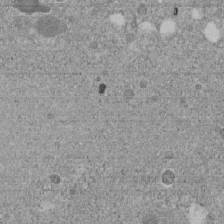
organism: C. elegans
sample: C. elegans embryo early stage